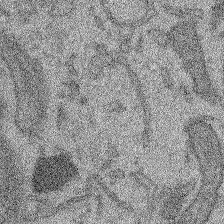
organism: Human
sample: HeLa cells